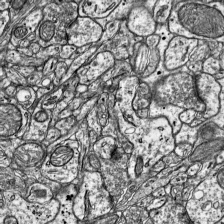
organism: Mouse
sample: Visual Cortex